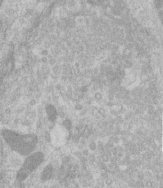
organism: Human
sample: Centriole in RPE cells